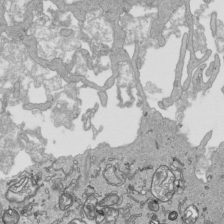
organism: Human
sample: Mitochondria in HCT116 cells